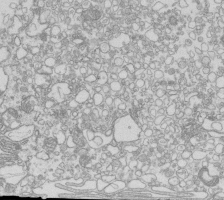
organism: Mouse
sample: Macrophages